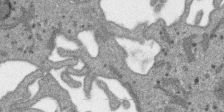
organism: Human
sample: Lung epithelial cells infected with SARS-CoV-2